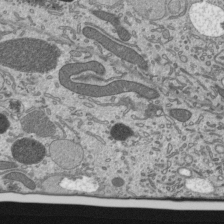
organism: Mouse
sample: Mouse epididymis efferent ductule cilia